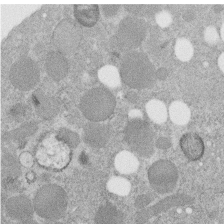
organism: C. elegans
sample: C. elegans embryo early stage